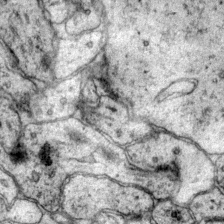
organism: Mouse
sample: Primary visual cortex